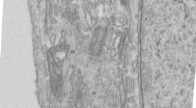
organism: Human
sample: Centriole in RPE cells